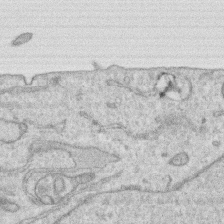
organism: Human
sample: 1205lu cells